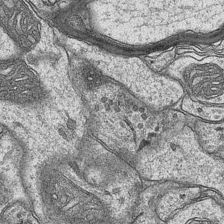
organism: Mouse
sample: CA1 Hippocampus